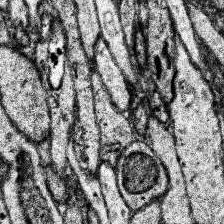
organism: Human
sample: Temporal Lobe